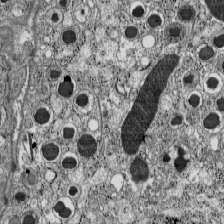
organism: C57BL Mouse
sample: Pancreatic islet